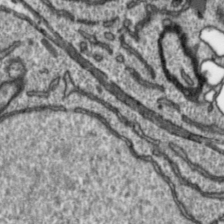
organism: Toxoplasma gondii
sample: Parasites in a vacuole inside a host cell